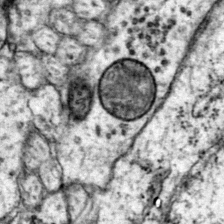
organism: Mouse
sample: Primary visual cortex